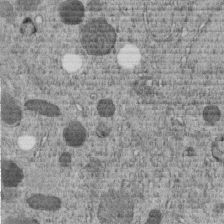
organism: C. elegans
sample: C. elegans embryo early stage